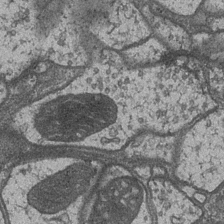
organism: Drosophila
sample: Optic medulla